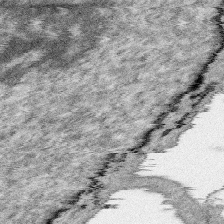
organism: Human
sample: HeLa cells